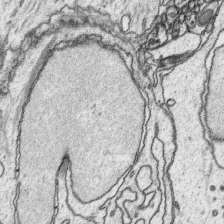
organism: Platynereis dumerilii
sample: Parapodia